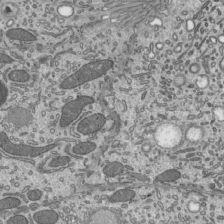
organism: Mouse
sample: Mouse epididymis efferent ductule cilia